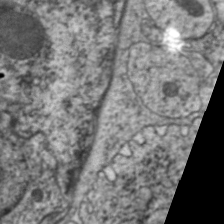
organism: C. elegans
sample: Pharynx